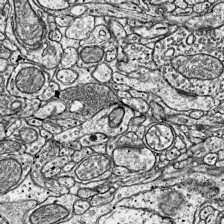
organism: Mouse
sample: Visual Cortex